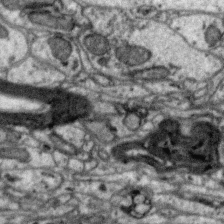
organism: Zebra finch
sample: Brain